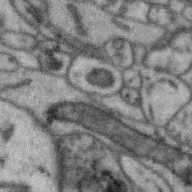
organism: Zebra finch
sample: Brain